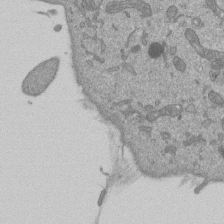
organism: Mouse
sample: ED-1 cell nuclei; centrioles